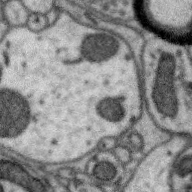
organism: Zebra finch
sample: Brain